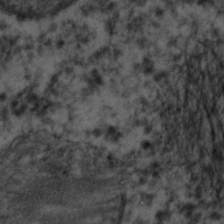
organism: C. elegans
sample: C. elegans embryo